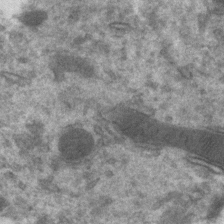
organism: Zebrafish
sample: Zebrafish embryo